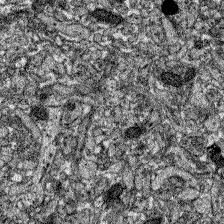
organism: Zebrafish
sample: Larval olfactory bulb